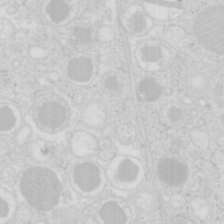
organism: Mouse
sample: Pancreas